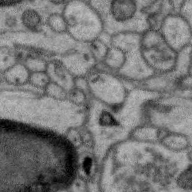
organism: Zebra finch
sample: Brain